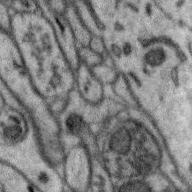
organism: Zebra finch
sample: Brain